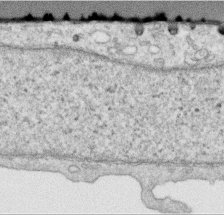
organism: Human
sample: Centriole in RPE cells